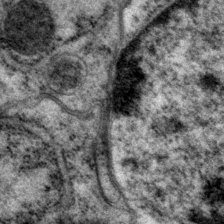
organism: P. pacificus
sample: Pharynx